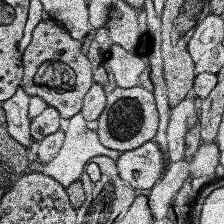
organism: Human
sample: Temporal Lobe